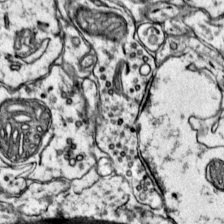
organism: Mouse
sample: Primary visual cortex